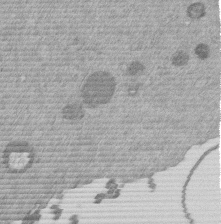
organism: Mouse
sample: Dividing mouse embryo 1 cell stage